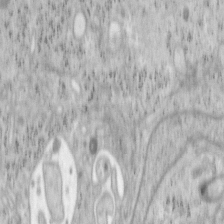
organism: Human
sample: HeLa cells